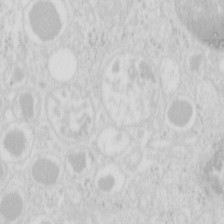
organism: Mouse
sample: Pancreas